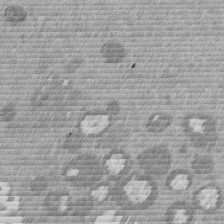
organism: Mouse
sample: Dividing mouse embryo 1 cell stage